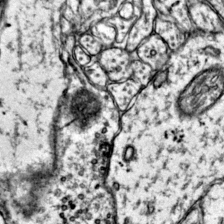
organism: Mouse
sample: Primary visual cortex